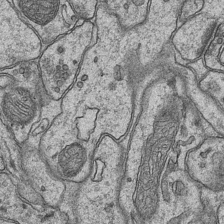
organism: Mouse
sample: CA1 Hippocampus